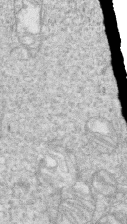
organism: Human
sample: HeLa cell HIV synapse